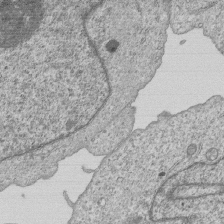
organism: Human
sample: MDA-MB-231 cells